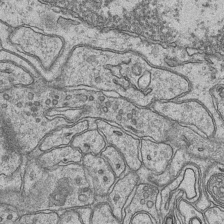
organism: Mouse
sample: CA1 Hippocampus